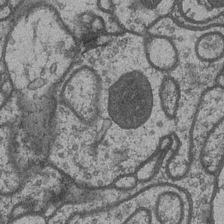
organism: Drosophila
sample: Optic medulla